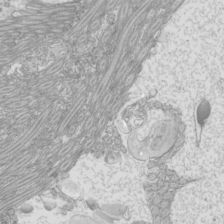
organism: Mouse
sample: Cilia; mouse epididymis